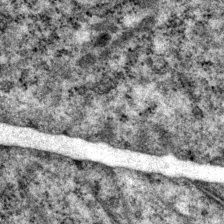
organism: P. pacificus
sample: Pharynx